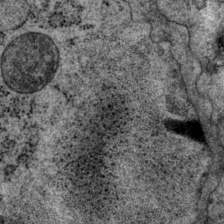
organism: P. pacificus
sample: Pharynx